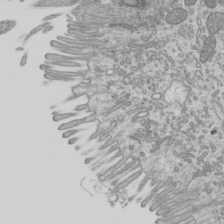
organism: Mouse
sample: Cilia; mouse epididymis